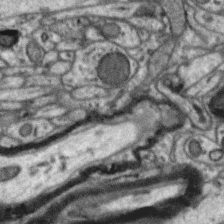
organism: Zebra finch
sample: Brain